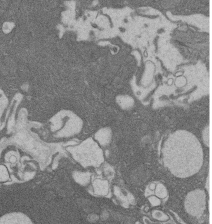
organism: Rat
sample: Salivary granule